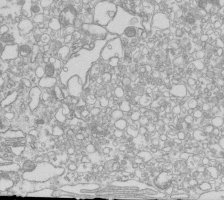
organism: Mouse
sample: Macrophages